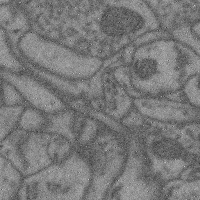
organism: Mouse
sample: Cerebral cortex